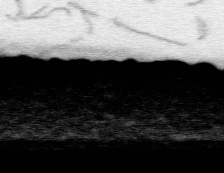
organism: Human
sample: HeLa cells